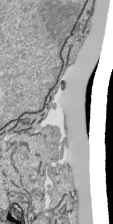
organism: Human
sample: Mitochondria in HCT116 cells